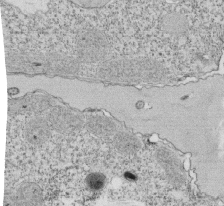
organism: Tetrahymena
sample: Cilia in tetrahymena